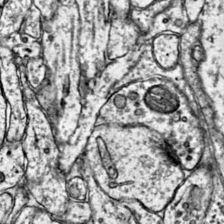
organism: Mouse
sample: Primary visual cortex